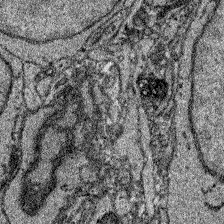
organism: Zebrafish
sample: Larval olfactory bulb